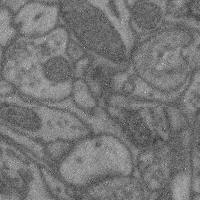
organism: Mouse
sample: Cerebral cortex